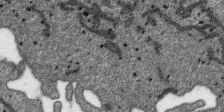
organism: Human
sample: Lung epithelial cells infected with SARS-CoV-2